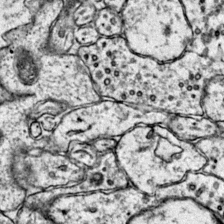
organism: Mouse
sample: Primary visual cortex